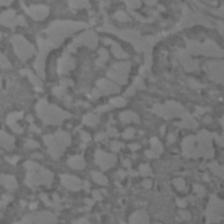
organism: C. elegans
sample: C. elegans embryo